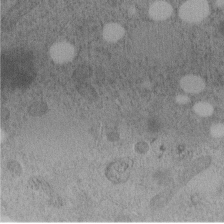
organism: C. elegans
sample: C. elegans embryo early stage